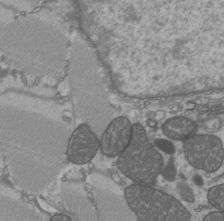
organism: C57BL Mouse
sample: Heart